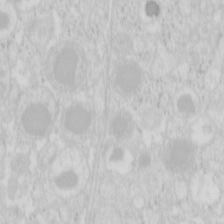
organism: Mouse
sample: Pancreas